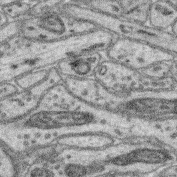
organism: Mouse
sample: Retina